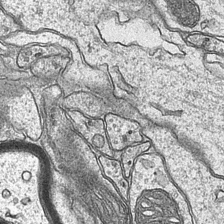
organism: Mouse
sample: CA1 Hippocampus